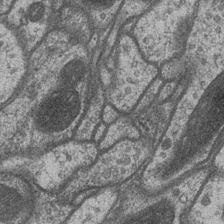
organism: Drosophila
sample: Optic medulla